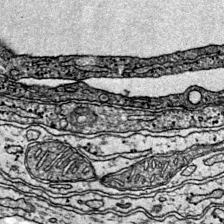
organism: Mouse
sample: Primary visual cortex